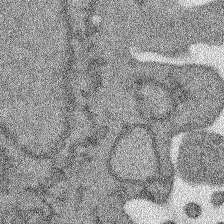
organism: Human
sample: HeLa cells